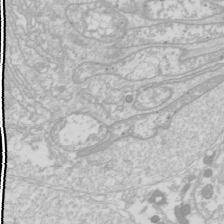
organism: Drosophila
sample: Cell division; meiosis; drosophila spermatocytes